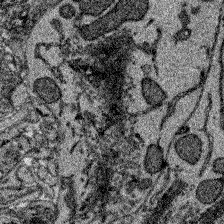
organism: Zebrafish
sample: Larval olfactory bulb